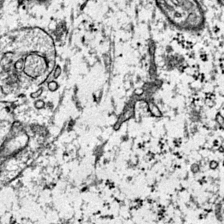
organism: Mouse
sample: Primary visual cortex